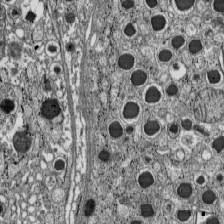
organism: C57BL Mouse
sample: Pancreatic islet